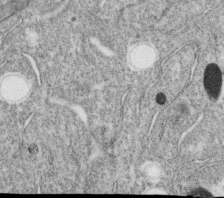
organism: C. elegans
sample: C. elegans oocyte; sperm cells